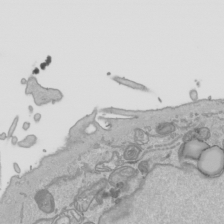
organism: Human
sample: Mitochondria in HCT116 cells